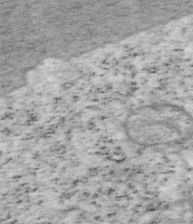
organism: Mouse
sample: OT-I killer T cells with ID8 ovarian cancer cells